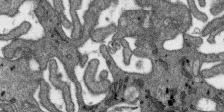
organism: Human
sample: Lung epithelial cells, uninfected (mock) control